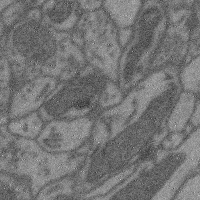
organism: Mouse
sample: Cerebral cortex